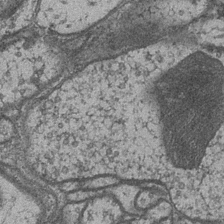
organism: Drosophila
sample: Optic medulla